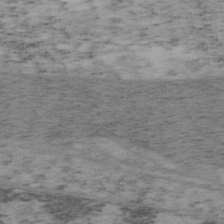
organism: Mouse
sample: OT-I killer T cells with ID8 ovarian cancer cells